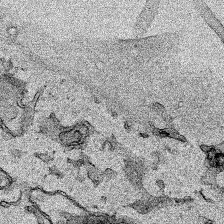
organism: Human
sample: Mitochondria in HCT116 cells